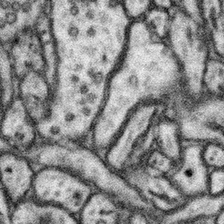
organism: Mouse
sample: Somatosensory cortex neuropil